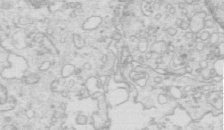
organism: Mouse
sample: Multiciliated cells